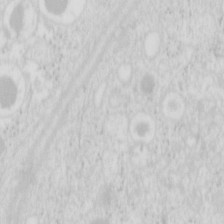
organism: Mouse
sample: Pancreas